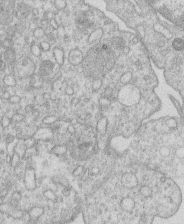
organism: Human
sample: Macrophage cells